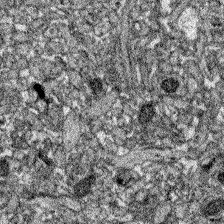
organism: Zebrafish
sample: Larval olfactory bulb